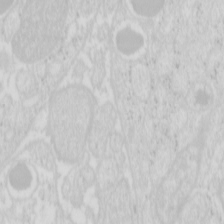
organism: Mouse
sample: Pancreas